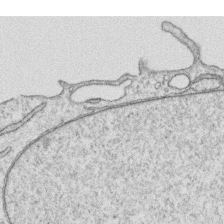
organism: Human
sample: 1205lu cells